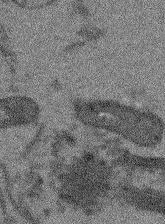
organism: Arabidopsis thaliana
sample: Root tip